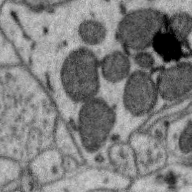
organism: Zebra finch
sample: Brain